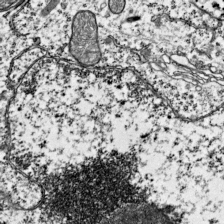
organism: Mouse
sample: Visual Cortex